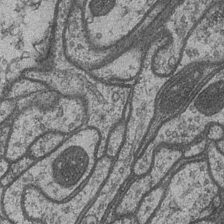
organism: Drosophila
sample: Optic medulla